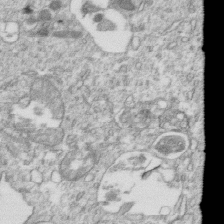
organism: Mouse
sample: Activated OT-1 CD8+ T cells